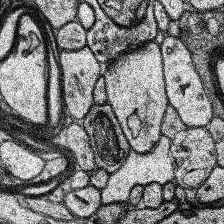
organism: Human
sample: Temporal Lobe